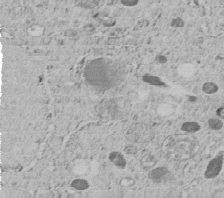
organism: C. elegans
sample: C. elegans embryo early stage